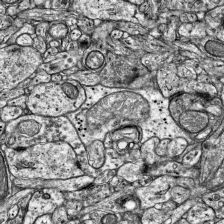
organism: Mouse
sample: Visual Cortex